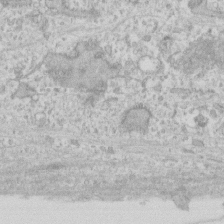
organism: Human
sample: Fibroblast cells